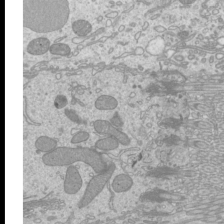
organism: Mouse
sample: Cilia; mouse epididymis